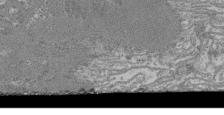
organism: Mouse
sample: Glomerulus